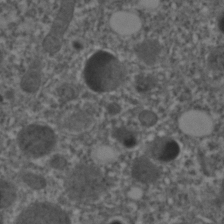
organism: C. elegans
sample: C. elegans embryo